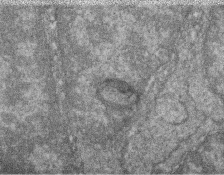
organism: Zebrafish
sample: Cilia; retinal pigment epithelium